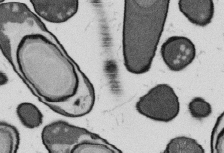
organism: B. subtilis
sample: Bacterial spore